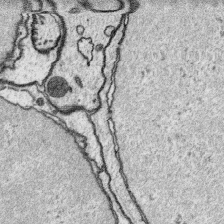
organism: Platynereis dumerilii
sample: Parapodia